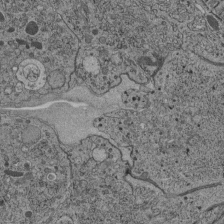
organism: C. elegans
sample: C. elegans pharynx